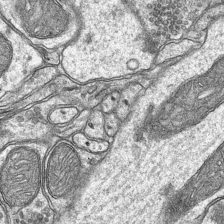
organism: Mouse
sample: CA1 Hippocampus